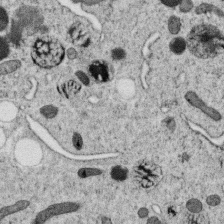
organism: C. elegans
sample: C. elegans oocyte; sperm cells